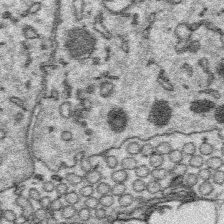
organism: Platynereis dumerilii